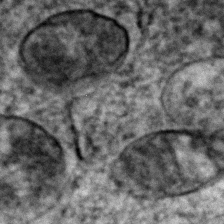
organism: Zebrafish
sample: Zebrafish embryo